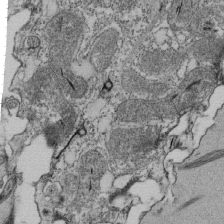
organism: Tetrahymena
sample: Cilia in tetrahymena